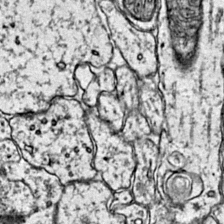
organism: Mouse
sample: Primary visual cortex